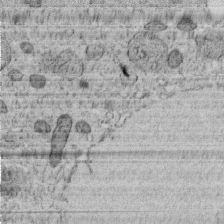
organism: C. elegans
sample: C. elegans embryo early stage